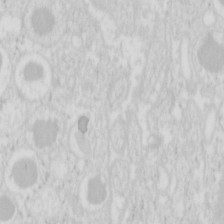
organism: Mouse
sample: Pancreas